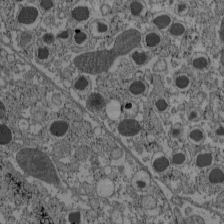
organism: C57BL Mouse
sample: Pancreatic islet